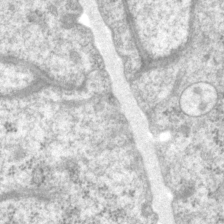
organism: P. pacificus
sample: Pharynx